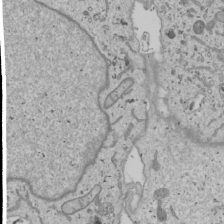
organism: Human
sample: Mitochondria in U2OS cells